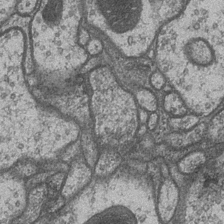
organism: Drosophila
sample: Optic medulla